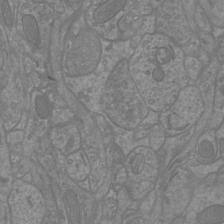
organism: Mouse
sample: Cortical neurons